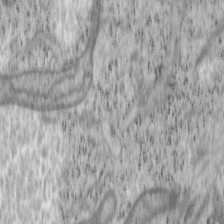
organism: Human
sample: HeLa cells